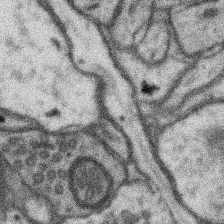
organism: Mouse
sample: Somatosensory cortex neuropil